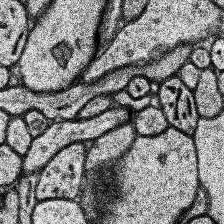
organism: Human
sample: Temporal Lobe